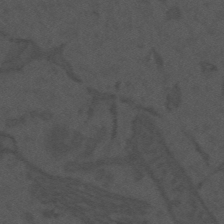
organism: Mouse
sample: Suprachiasmatic nucleus